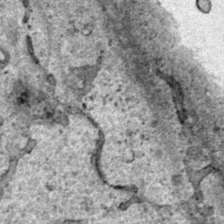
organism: Human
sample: Mitochondria in HCT116 cells